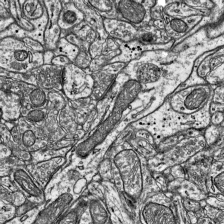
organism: Mouse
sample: Visual Cortex